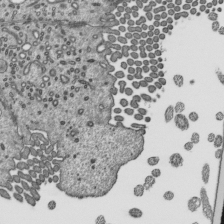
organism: Mouse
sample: Mouse epididymis efferent ductule cilia